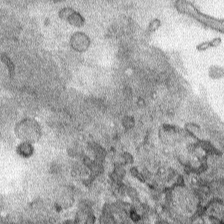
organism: Human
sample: Mitochondria in HCT116 cells